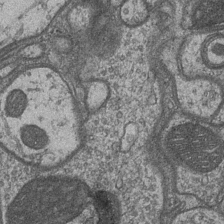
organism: Drosophila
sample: Optic medulla